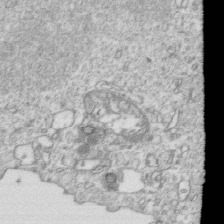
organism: Mouse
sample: Activated OT-1 CD8+ T cells